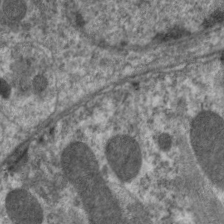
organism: C. elegans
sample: Pharynx